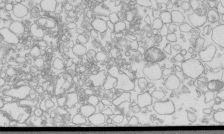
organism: Mouse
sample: Macrophages